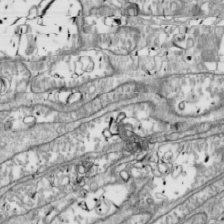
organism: Drosophila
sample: Cell division; meiosis; drosophila spermatocytes